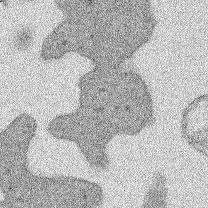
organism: Human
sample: HeLa cells